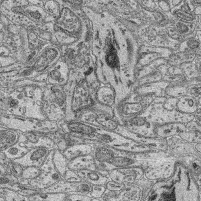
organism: Mouse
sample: Retina